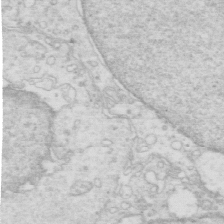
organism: Mouse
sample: Multiciliated cells